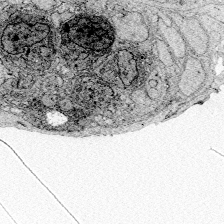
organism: Zebrafish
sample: Whole-Brain